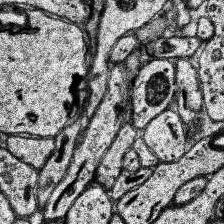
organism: Human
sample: Temporal Lobe